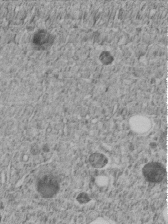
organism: C. elegans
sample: C. elegans embryo early stage